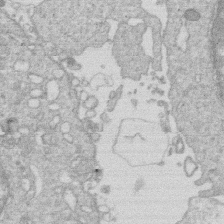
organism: Human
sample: Macrophage cells